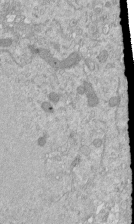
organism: Mouse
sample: ED-1 cell nuclei; centrioles